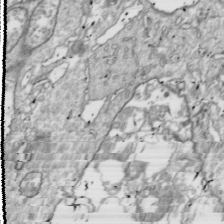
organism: Drosophila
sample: Cell division; meiosis; drosophila spermatocytes